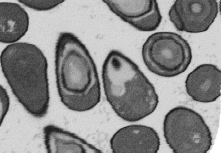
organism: B. subtilis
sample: Bacterial spore